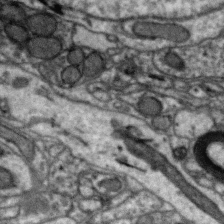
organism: Zebra finch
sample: Brain